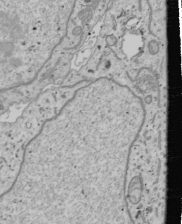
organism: Human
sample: Mitochondria in U2OS cells